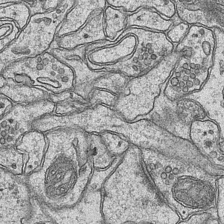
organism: Mouse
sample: CA1 Hippocampus